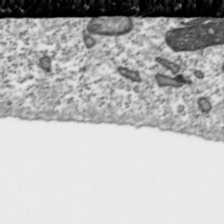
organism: Toxoplasma gondii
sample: Parasites in a vacuole inside a host cell